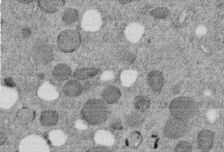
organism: C. elegans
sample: C. elegans embryo early stage